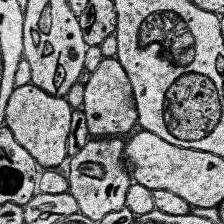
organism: Human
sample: Temporal Lobe